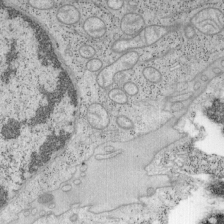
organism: Mouse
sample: OT-I killer T cells with ID8 ovarian cancer cells